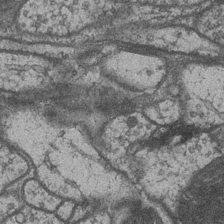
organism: Drosophila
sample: Optic medulla